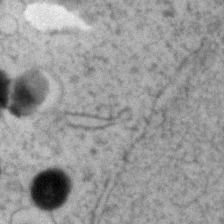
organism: Zebrafish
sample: Zebrafish embryo